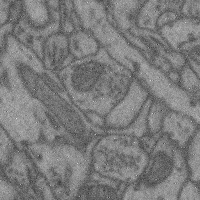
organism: Mouse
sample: Cerebral cortex